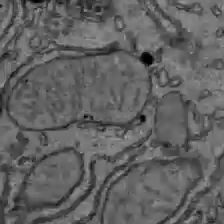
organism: C57BL Mouse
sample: Liver